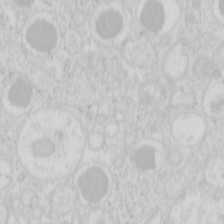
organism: Mouse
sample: Pancreas